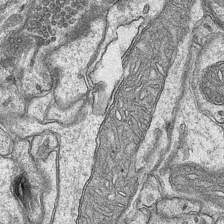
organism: Mouse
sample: CA1 Hippocampus